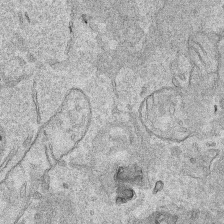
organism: Human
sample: Mitochondria in HCT116 cells